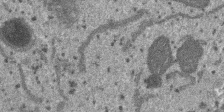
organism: Human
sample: Lung epithelial cells infected with SARS-CoV-2